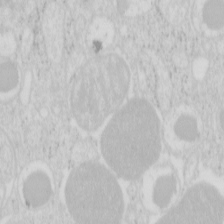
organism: Mouse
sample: Pancreas